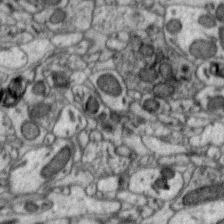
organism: Zebra finch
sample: Brain